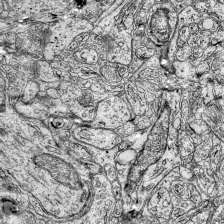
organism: Mouse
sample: Visual Cortex